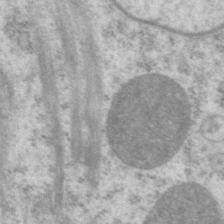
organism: P. pacificus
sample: Pharynx